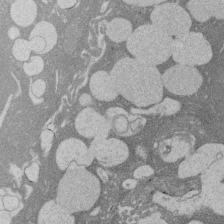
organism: Rat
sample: Salivary granule